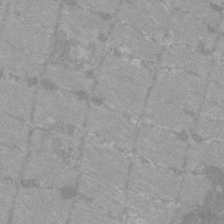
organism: C57BL Mouse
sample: Tibialis anterior muscle cell